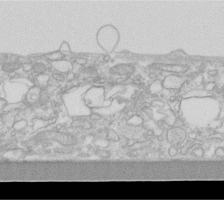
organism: Human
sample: Fibroblast cells